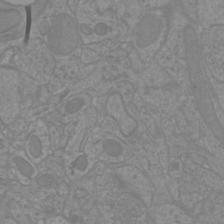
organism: Mouse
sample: Cortical neurons